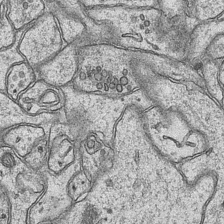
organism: Mouse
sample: CA1 Hippocampus